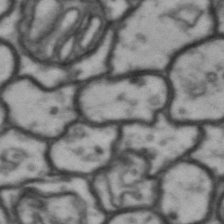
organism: Drosophila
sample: Brain